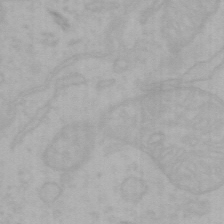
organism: Mouse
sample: Choroid plexus